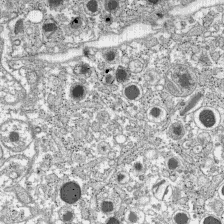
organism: C57BL Mouse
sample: Pancreatic islet